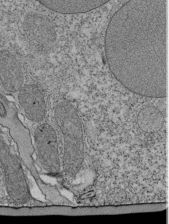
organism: Tetrahymena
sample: Cilia in tetrahymena